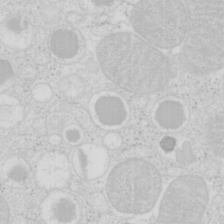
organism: Mouse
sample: Pancreas